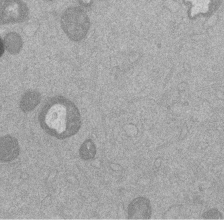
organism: Mouse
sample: Dividing mouse embryo 1 cell stage